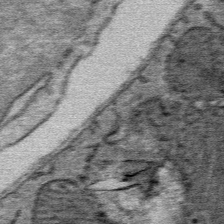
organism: Mouse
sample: Mouse Salivary gland